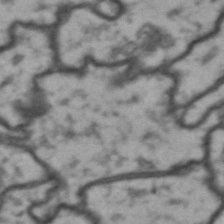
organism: Drosophila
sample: Brain